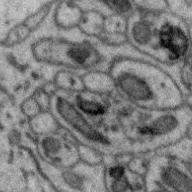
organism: Zebra finch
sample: Brain